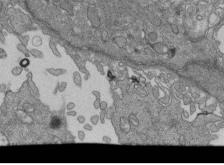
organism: Human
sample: Retinal organoid Rod and Cone cells